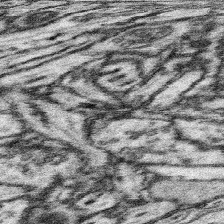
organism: Mouse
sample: Somatosensory cortex neuropil